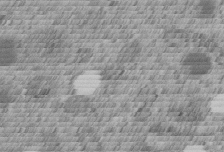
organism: C. elegans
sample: C. elegans embryo early stage